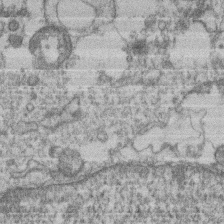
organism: Mouse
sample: T cell stromal cell synapse